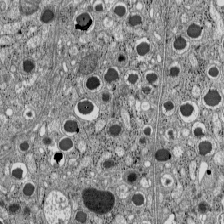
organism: C57BL Mouse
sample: Pancreatic islet